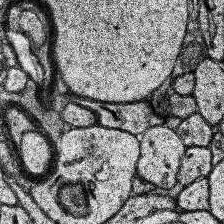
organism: Human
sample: Temporal Lobe